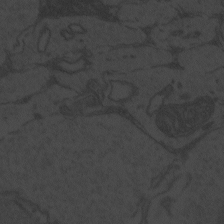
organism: Zebrafish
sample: Macrophage infected with Toxoplasma gondii